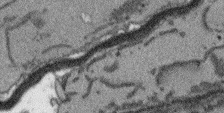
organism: Arabidopsis thaliana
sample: Root tip